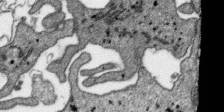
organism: Human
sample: Lung epithelial cells, uninfected (mock) control